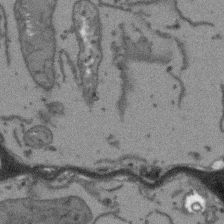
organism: Arabidopsis thaliana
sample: Root tip